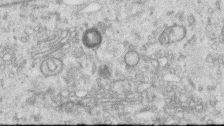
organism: Human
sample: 1205lu cells